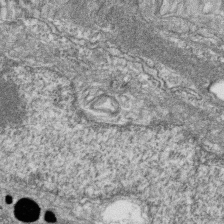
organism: Zebrafish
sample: Cilia; retinal pigment epithelium